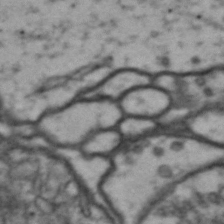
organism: Drosophila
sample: Brain